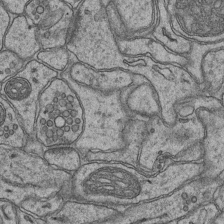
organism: Mouse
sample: CA1 Hippocampus